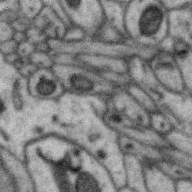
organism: Zebra finch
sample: Brain